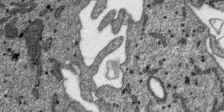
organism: Human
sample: Lung epithelial cells infected with SARS-CoV-2